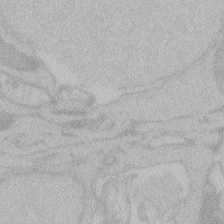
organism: Zebrafish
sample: Macrophage infected with Toxoplasma gondii